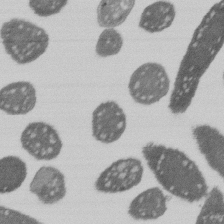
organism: E. coli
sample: Bacterial nucleoid